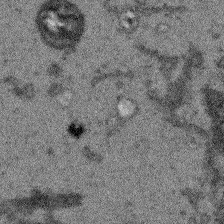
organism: Arabidopsis thaliana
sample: Root tip